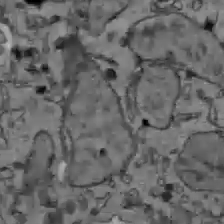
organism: C57BL Mouse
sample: Liver